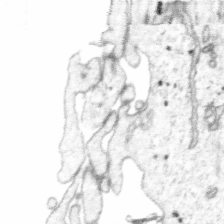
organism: Human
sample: HeLa cells